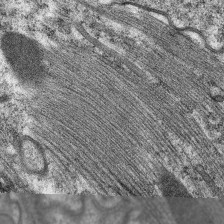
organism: C. elegans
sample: Pharynx